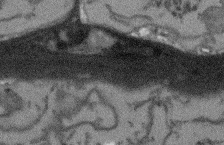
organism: Arabidopsis thaliana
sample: Root tip